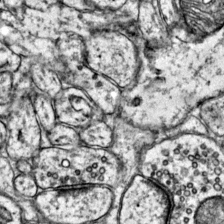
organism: Mouse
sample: Primary visual cortex